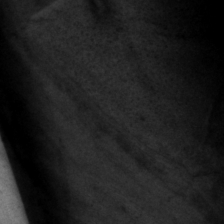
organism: P. pacificus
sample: Pharynx